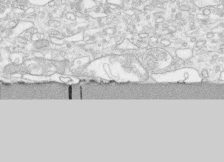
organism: Human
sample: CRL-1474